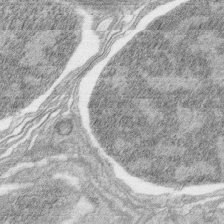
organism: Zebrafish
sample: synaptic ribbons in rod cells and cone cells